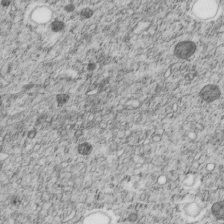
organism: C. elegans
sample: C. elegans embryo early stage